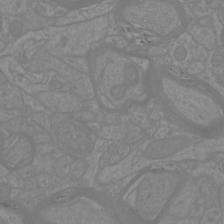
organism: Mouse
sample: Cortical neurons